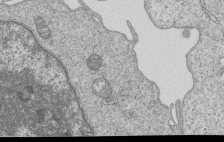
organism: Human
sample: MDA-MB-231 cells